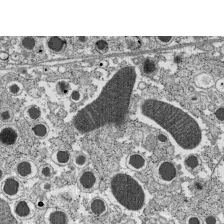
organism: C57BL Mouse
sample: Pancreatic islet